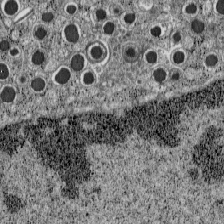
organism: C57BL Mouse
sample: Pancreatic islet